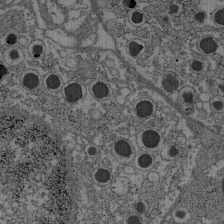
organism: C57BL Mouse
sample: Pancreatic islet